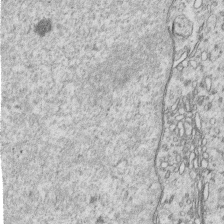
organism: Human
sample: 1205lu cells